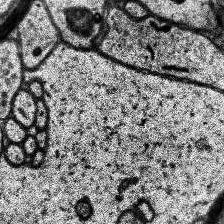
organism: Human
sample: Temporal Lobe